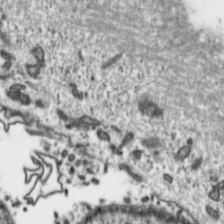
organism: Toxoplasma gondii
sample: Parasites in a vacuole inside a host cell